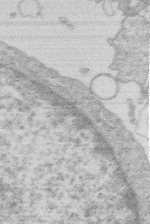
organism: Human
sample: Macrophage cells